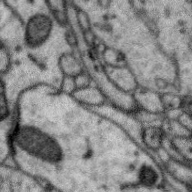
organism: Zebra finch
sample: Brain